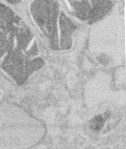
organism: Mouse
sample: T cell stromal cell synapse